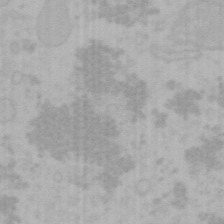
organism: Mouse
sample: Choroid plexus